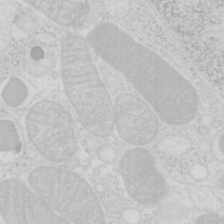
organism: Mouse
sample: Pancreas